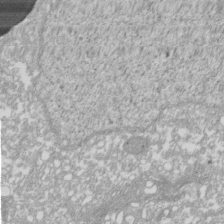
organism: Xenopus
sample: Cilia; centrioles in frog embryo cells